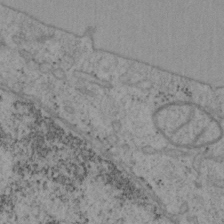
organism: Human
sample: HeLa cells